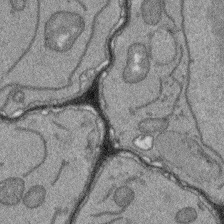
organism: Arabidopsis thaliana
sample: Root tip